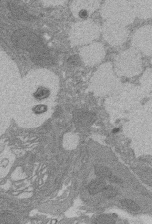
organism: Rat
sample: Salivary granule